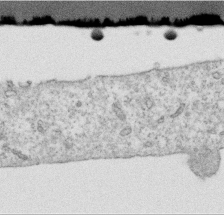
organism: Human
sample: Centriole in RPE cells